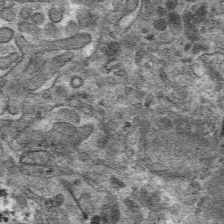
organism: Mouse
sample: Mouse hepatocytes